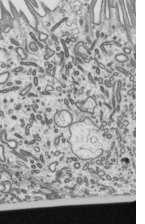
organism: Mouse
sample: Mouse epididymis efferent ductule cilia